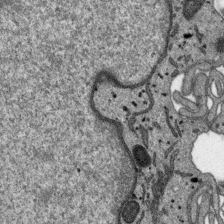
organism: Human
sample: Lung epithelial cells, uninfected (mock) control